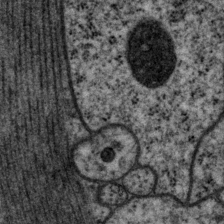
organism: P. pacificus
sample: Pharynx